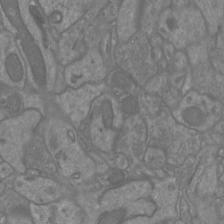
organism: Mouse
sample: Cortical neurons